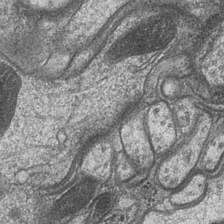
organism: Drosophila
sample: Optic medulla